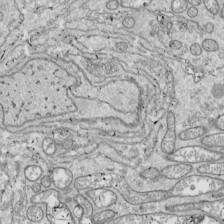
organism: Drosophila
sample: Cell division; meiosis; drosophila spermatocytes